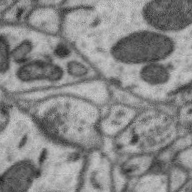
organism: Zebra finch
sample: Brain